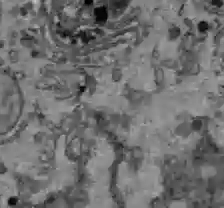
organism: C57BL Mouse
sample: Liver